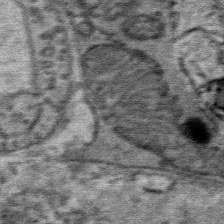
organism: Mouse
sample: Mouse Salivary gland